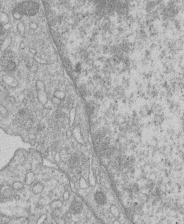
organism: Human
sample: Macrophage cells